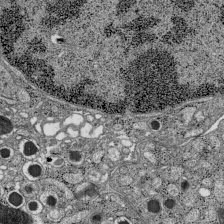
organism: C57BL Mouse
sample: Pancreatic islet